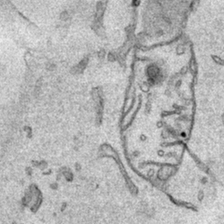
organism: Human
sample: Mitochondria in HCT116 cells